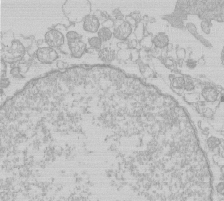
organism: Human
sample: Macrophage cells